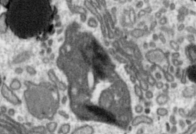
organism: Toxoplasma gondii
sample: Parasites in a vacuole inside a host cell